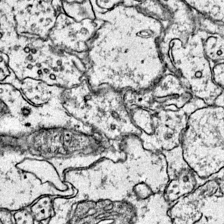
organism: Mouse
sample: Primary visual cortex